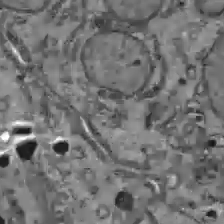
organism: C57BL Mouse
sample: Liver